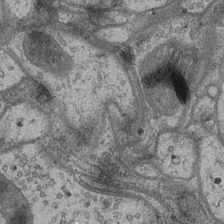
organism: Drosophila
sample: Optic medulla